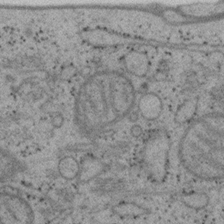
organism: Human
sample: HeLa cells